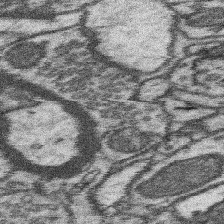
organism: Mouse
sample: Somatosensory cortex neuropil